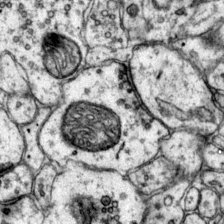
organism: Mouse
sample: Primary visual cortex